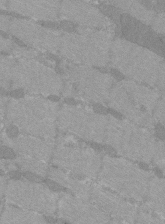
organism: C57BL Mouse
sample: Tibialis anterior muscle cell